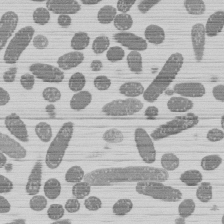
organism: E. coli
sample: Bacterial nucleoid